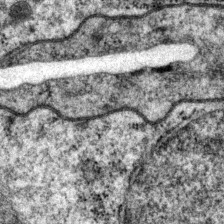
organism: P. pacificus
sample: Pharynx